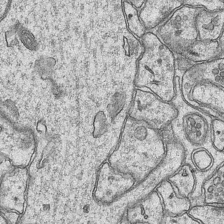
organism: Mouse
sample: CA1 Hippocampus